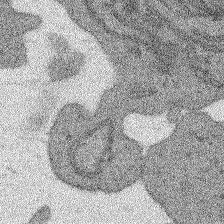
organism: Human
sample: HeLa cells